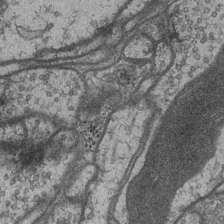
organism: Drosophila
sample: Optic medulla